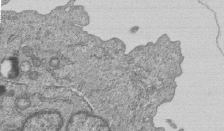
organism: Human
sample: MDA-MB-231 cells